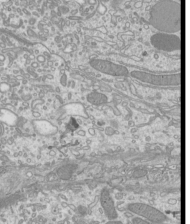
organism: Mouse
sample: Cilia; mouse epididymis